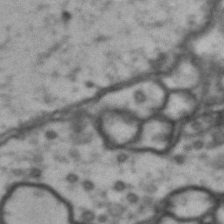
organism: Drosophila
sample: Brain